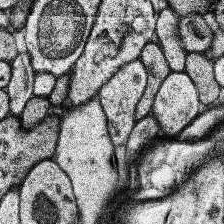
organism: Human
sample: Temporal Lobe